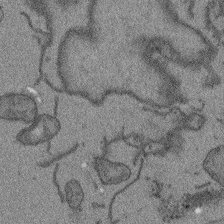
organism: Arabidopsis thaliana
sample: Root tip